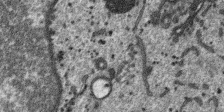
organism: Human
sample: Lung epithelial cells infected with SARS-CoV-2